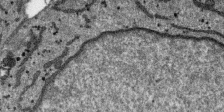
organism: Human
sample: Lung epithelial cells, uninfected (mock) control